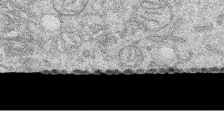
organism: Human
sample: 1205lu cells